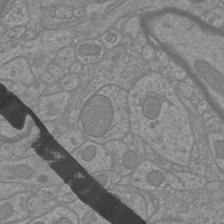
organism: Mouse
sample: Cortical neurons